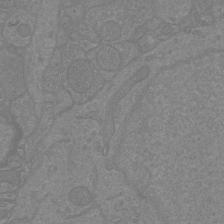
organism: Mouse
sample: Cortical neurons